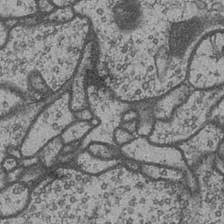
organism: Drosophila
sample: Optic medulla